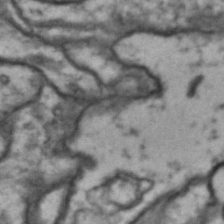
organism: Drosophila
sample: Brain